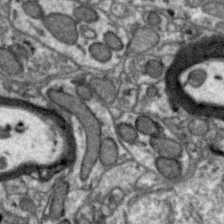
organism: Zebra finch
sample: Brain